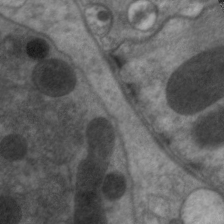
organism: C. elegans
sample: Pharynx